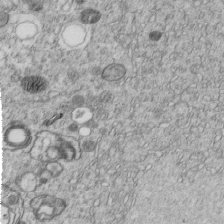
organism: C. elegans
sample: C. elegans embryo early stage